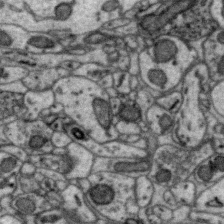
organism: Zebra finch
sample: Brain